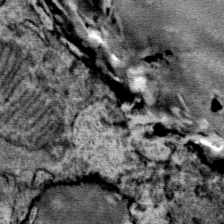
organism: Mouse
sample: Mouse Salivary gland